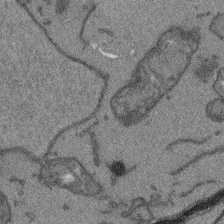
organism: Arabidopsis thaliana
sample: Root tip